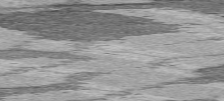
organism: C57BL Mouse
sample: Heart